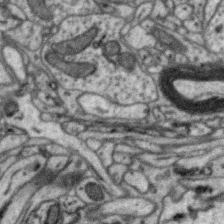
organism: Zebra finch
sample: Brain